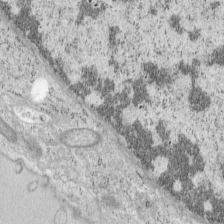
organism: Mouse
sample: OT-I killer T cells with ID8 ovarian cancer cells